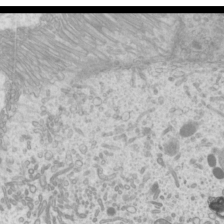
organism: Mouse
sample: Cilia; mouse epididymis